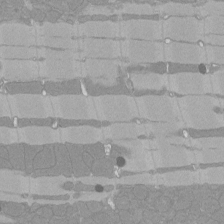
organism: Rat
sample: Left ventricle